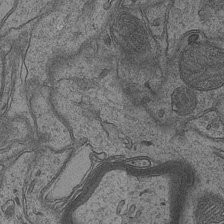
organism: Mouse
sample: CA1 Hippocampus